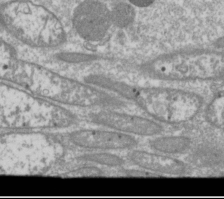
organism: Drosophila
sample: Cell division; meiosis; drosophila spermatocytes